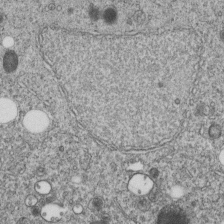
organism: C. elegans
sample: C. elegans embryo early stage